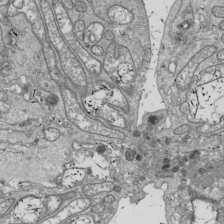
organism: Drosophila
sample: Cell division; meiosis; drosophila spermatocytes